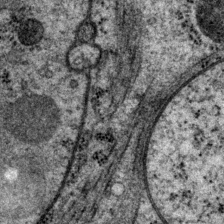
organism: P. pacificus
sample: Pharynx